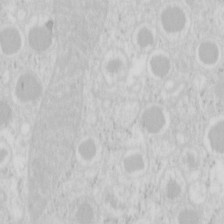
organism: Mouse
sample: Pancreas